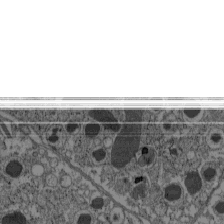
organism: C57BL Mouse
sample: Pancreatic islet